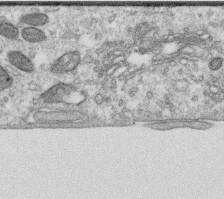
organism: Human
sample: Centriole in RPE cells